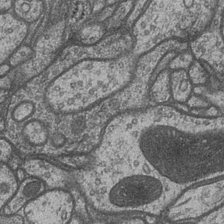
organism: Drosophila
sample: Optic medulla